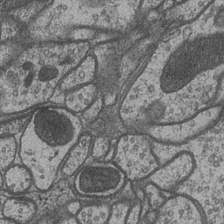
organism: Drosophila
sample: Optic medulla